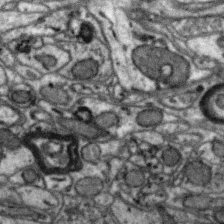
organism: Zebra finch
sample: Brain